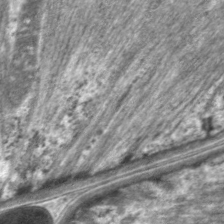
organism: C. elegans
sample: Pharynx